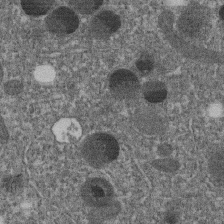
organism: C. elegans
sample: C. elegans embryo early stage